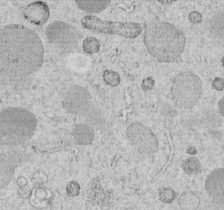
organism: C. elegans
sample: C. elegans embryo early stage